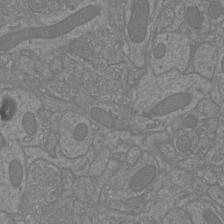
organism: Mouse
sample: Cortical neurons